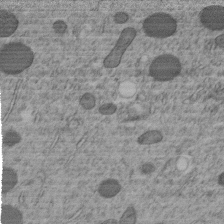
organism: C. elegans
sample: C. elegans embryo early stage